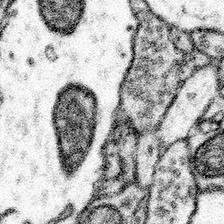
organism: Mouse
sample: Somatosensory cortex neuropil